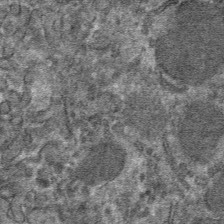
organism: Mouse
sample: Mouse hepatocytes